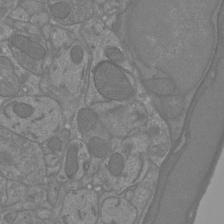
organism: Mouse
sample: Cortical neurons